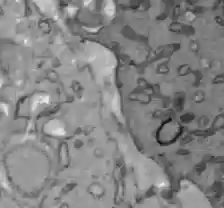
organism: C57BL Mouse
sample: Liver